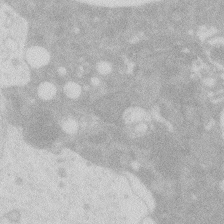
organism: Zebrafish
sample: Macrophage